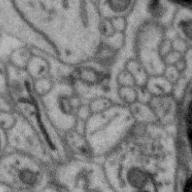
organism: Zebra finch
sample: Brain